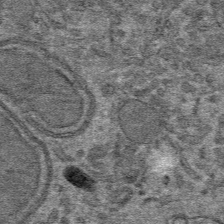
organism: Mouse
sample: Mouse hepatocytes